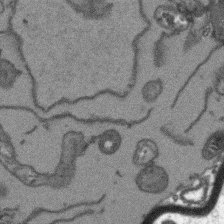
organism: Arabidopsis thaliana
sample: Root tip